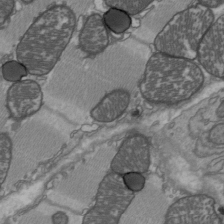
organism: C57BL Mouse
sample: Heart